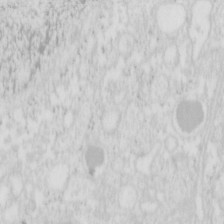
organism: Mouse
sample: Pancreas